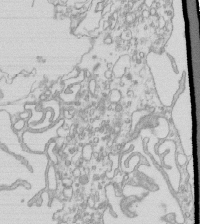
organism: Mouse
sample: Macrophages